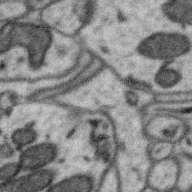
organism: Zebra finch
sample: Brain